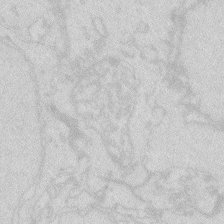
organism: Zebrafish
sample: Macrophage